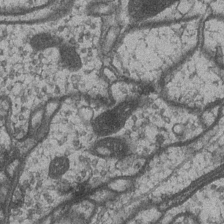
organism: Drosophila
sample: Optic medulla